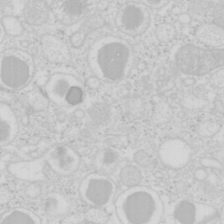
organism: Mouse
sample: Pancreas